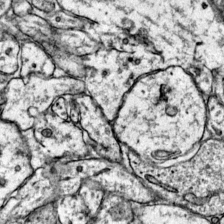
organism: Mouse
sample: Primary visual cortex